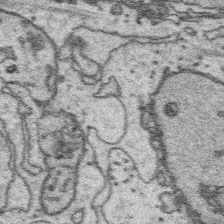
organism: Platynereis dumerilii